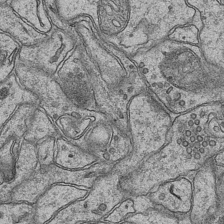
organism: Mouse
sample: CA1 Hippocampus